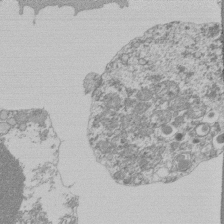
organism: Mouse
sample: Activated Pmel transgenic CD8+ T Cells